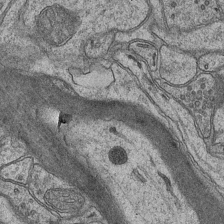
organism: Mouse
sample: CA1 Hippocampus